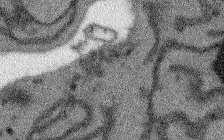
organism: Arabidopsis thaliana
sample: Root tip